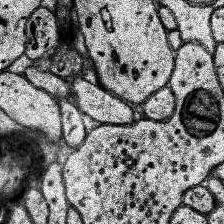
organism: Human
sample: Temporal Lobe